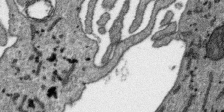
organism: Human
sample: Lung epithelial cells, uninfected (mock) control